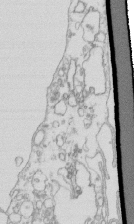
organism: Mouse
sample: Macrophages